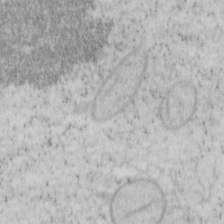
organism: Human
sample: HeLa cells